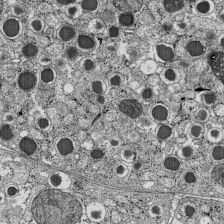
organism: C57BL Mouse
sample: Pancreatic islet